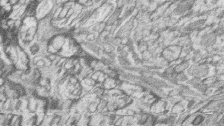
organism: Zebrafish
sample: synaptic ribbons in rod cells and cone cells